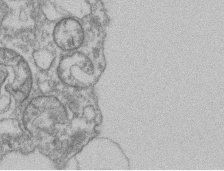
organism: Mouse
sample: T cell stromal cell synapse